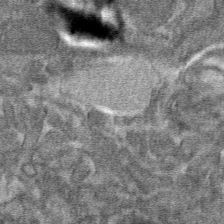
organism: Mouse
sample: Mouse hepatocytes